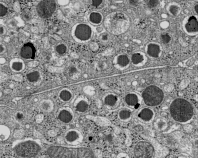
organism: C57BL Mouse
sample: Pancreatic islet